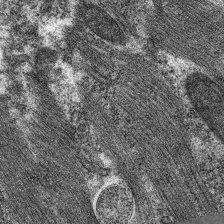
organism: C. elegans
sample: Pharynx